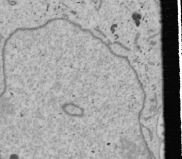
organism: Human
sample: Mitochondria in U2OS cells